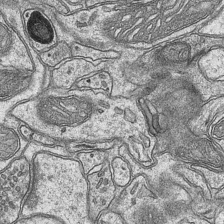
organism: Mouse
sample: CA1 Hippocampus